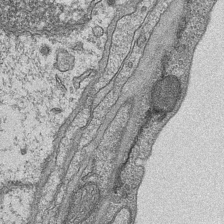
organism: Mouse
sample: CA1 Hippocampus